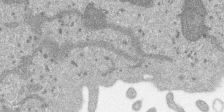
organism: Human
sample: Lung epithelial cells infected with SARS-CoV-2